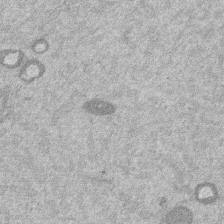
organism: Mouse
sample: Dividing mouse embryo 1 cell stage